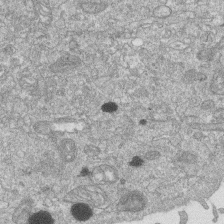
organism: Human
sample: HeLa cell HIV synapse